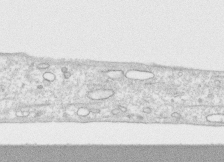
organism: Human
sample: CRL-1474